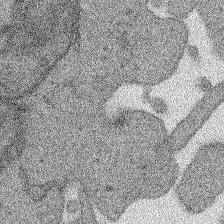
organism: Human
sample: HeLa cells